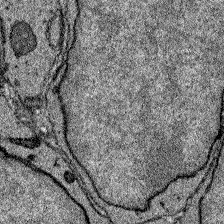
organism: Zebrafish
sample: Larval olfactory bulb